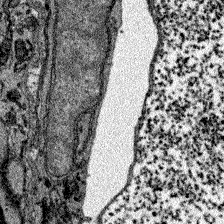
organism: Zebrafish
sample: Larval olfactory bulb